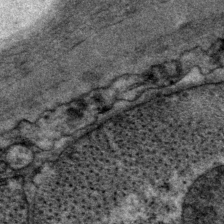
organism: P. pacificus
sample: Pharynx